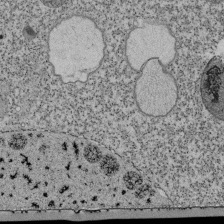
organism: Tetrahymena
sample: Cilia in tetrahymena